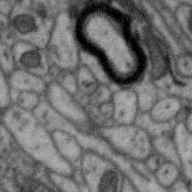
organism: Zebra finch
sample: Brain